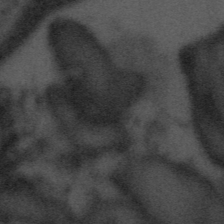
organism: Tuwongella immobilis